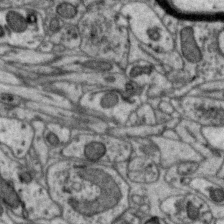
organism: Zebra finch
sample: Brain